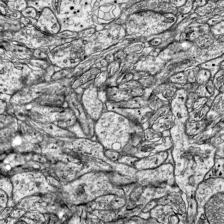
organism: Mouse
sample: Visual Cortex